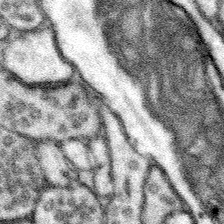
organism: Mouse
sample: Somatosensory cortex neuropil